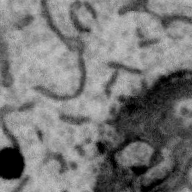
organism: Zebra finch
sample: Brain